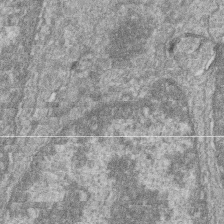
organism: Zebrafish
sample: Cilia; retinal pigment epithelium